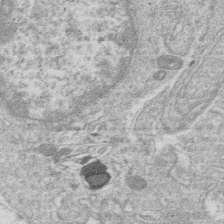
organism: Human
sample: Macrophage cells